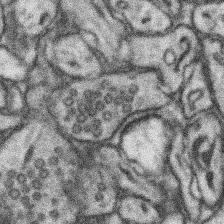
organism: Mouse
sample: Somatosensory cortex neuropil